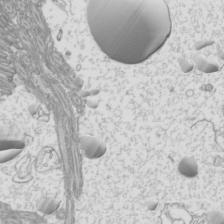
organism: Mouse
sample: Cilia; mouse epididymis